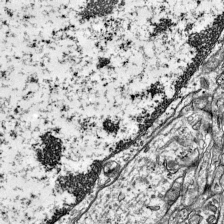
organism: Mouse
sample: Visual Cortex